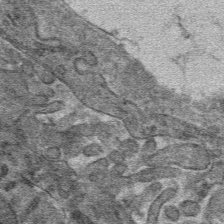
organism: Mouse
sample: Mouse hepatocytes